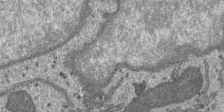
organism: Human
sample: Lung epithelial cells infected with SARS-CoV-2